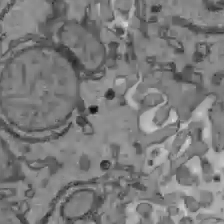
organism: C57BL Mouse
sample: Liver